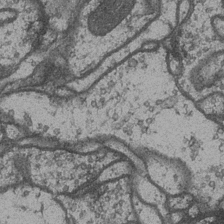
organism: Drosophila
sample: Optic medulla